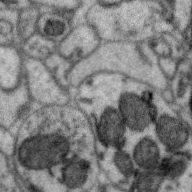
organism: Zebra finch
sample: Brain